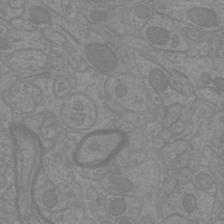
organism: Mouse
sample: Cortical neurons